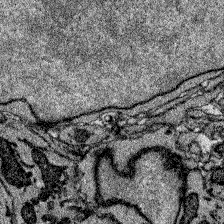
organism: Zebrafish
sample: Larval olfactory bulb